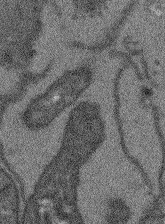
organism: Arabidopsis thaliana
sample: Root tip